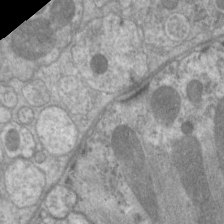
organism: C. elegans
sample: Pharynx